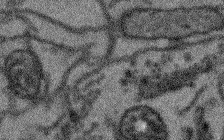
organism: Arabidopsis thaliana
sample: Root tip